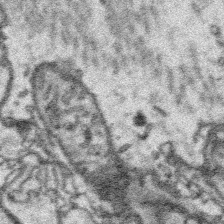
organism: Platynereis dumerilii